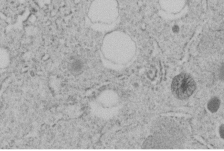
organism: C. elegans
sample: C. elegans embryo early stage